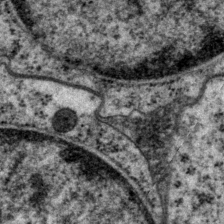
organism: P. pacificus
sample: Pharynx